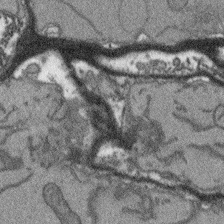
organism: Arabidopsis thaliana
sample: Root tip